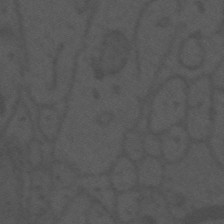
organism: Mouse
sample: Suprachiasmatic nucleus